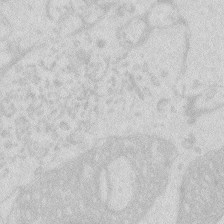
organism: Zebrafish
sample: Macrophage